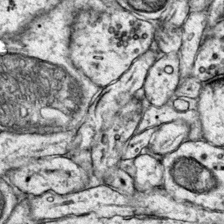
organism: Mouse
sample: Primary visual cortex